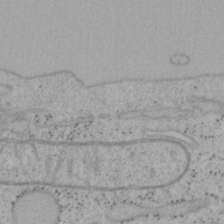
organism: Human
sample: HeLa cells